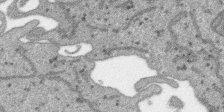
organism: Human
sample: Lung epithelial cells infected with SARS-CoV-2